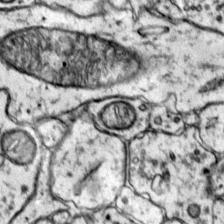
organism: Mouse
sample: Primary visual cortex